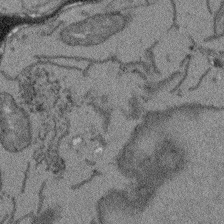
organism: Arabidopsis thaliana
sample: Root tip